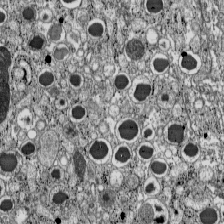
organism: C57BL Mouse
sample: Pancreatic islet